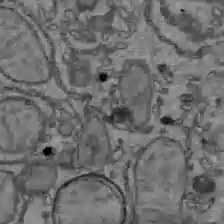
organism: C57BL Mouse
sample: Liver